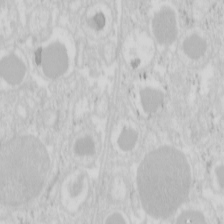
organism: Mouse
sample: Pancreas